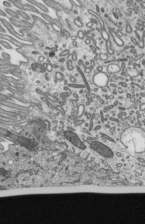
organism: Mouse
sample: Mouse epididymis efferent ductule cilia